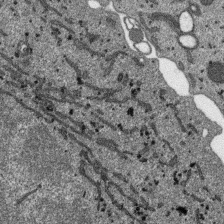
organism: Human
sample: Lung epithelial cells infected with SARS-CoV-2